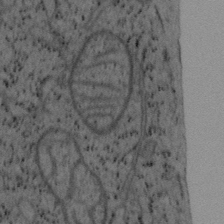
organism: Human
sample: HeLa cells